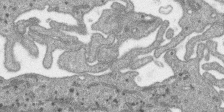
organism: Human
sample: Lung epithelial cells infected with SARS-CoV-2